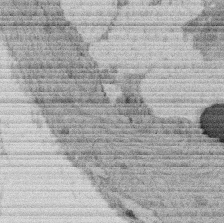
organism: Rat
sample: Salivary granule